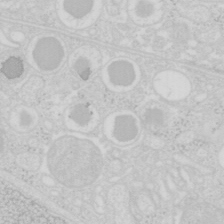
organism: Mouse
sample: Pancreas